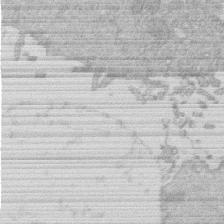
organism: Human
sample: Macrophage cells